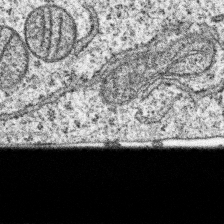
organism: Human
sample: HeLa cells